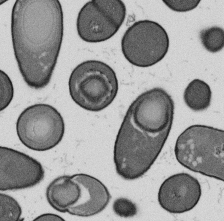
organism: B. subtilis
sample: Bacterial spore